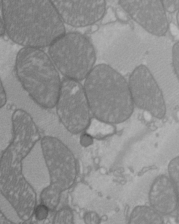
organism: C57BL Mouse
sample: Heart